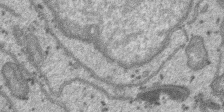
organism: Human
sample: Lung epithelial cells infected with SARS-CoV-2